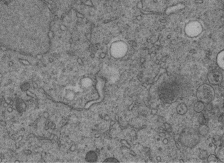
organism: C. elegans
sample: C. elegans embryo early stage